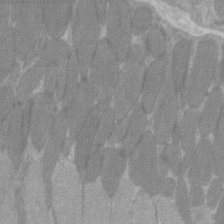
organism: C57BL Mouse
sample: Tibialis anterior muscle cell